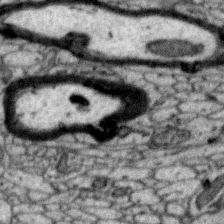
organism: Zebra finch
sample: Brain